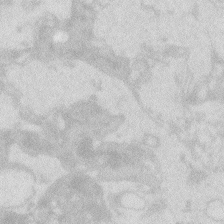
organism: Zebrafish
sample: Macrophage